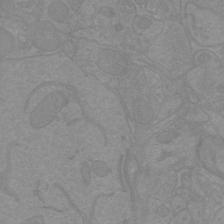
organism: Mouse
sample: Cortical neurons